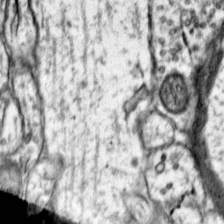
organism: Mouse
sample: Primary visual cortex